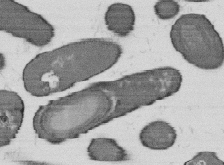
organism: B. subtilis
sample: Bacterial spore